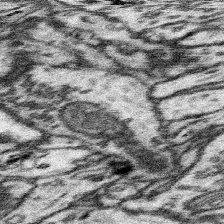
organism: Mouse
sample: Somatosensory cortex neuropil